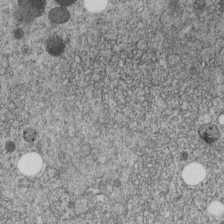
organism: C. elegans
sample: C. elegans embryo early stage